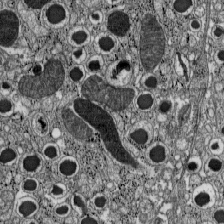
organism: C57BL Mouse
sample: Pancreatic islet